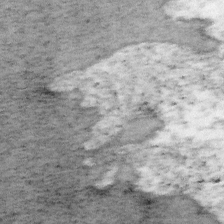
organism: Mouse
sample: OT-I killer T cells with ID8 ovarian cancer cells